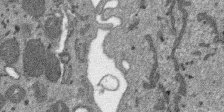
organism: Human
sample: Lung epithelial cells infected with SARS-CoV-2